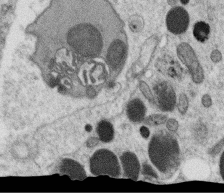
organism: C. elegans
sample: C. elegans oocyte; sperm cells